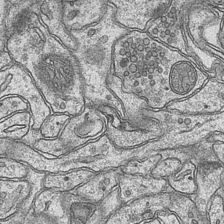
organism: Mouse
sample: CA1 Hippocampus